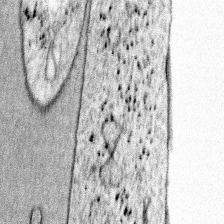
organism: Human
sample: HeLa cells